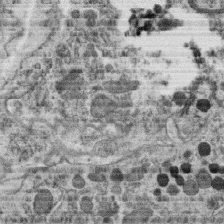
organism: C. elegans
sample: C. elegans oocyte; sperm cells